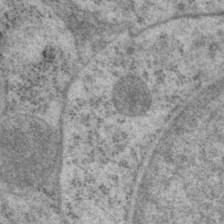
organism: P. pacificus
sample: Pharynx